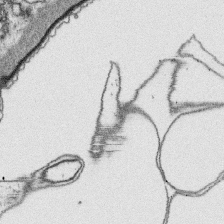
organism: Platynereis dumerilii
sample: Parapodia